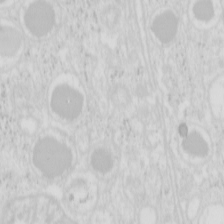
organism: Mouse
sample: Pancreas